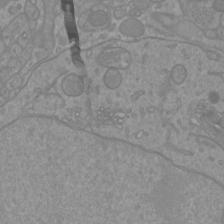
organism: Mouse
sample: Cortical neurons